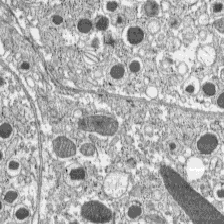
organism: C57BL Mouse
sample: Pancreatic islet